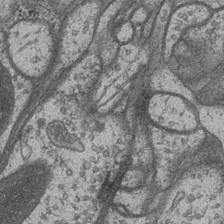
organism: Drosophila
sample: Optic medulla